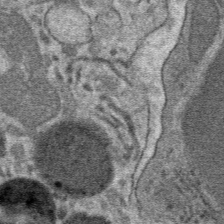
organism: Mouse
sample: Mouse hepatocytes